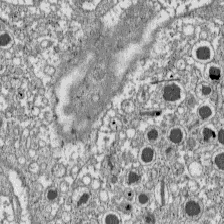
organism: C57BL Mouse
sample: Pancreatic islet